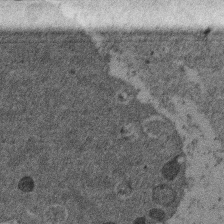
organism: Mouse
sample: Dividing mouse embryo 1 cell stage